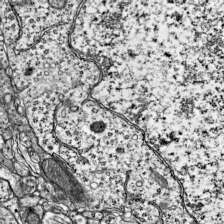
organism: Mouse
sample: Visual Cortex